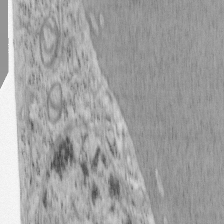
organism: Human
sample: HeLa cells